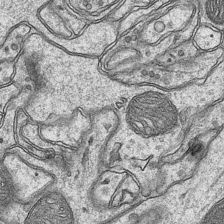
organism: Mouse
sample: CA1 Hippocampus